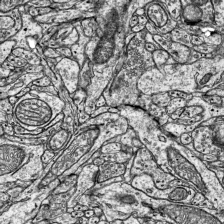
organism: Mouse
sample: Visual Cortex